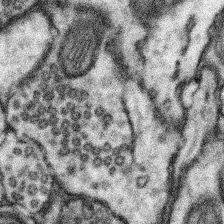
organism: Mouse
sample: Somatosensory cortex neuropil